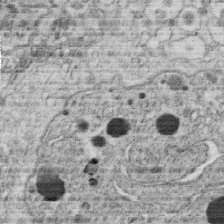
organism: C. elegans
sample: C. elegans oocyte; sperm cells